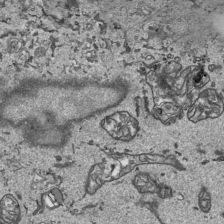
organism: Human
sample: Mitochondria in HCT116 cells